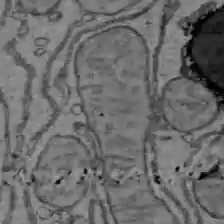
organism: C57BL Mouse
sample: Liver